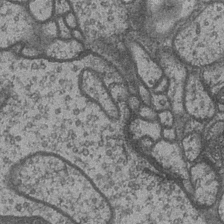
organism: Drosophila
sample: Optic medulla